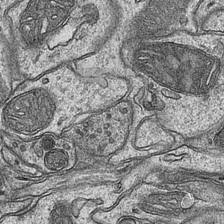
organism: Mouse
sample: CA1 Hippocampus